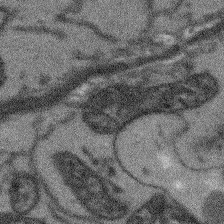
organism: Arabidopsis thaliana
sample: Root tip